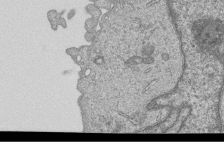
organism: Human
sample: MDA-MB-231 cells